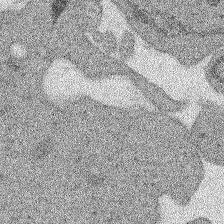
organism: Human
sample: HeLa cells